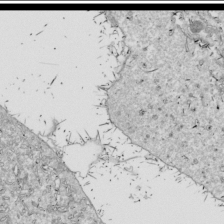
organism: Drosophila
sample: Cell division; meiosis; drosophila spermatocytes